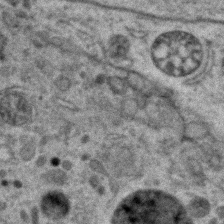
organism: Zebrafish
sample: Zebrafish embryo